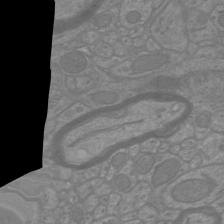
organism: Mouse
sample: Cortical neurons